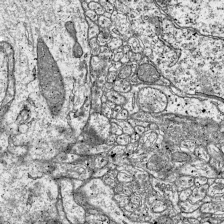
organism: Mouse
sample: Visual Cortex